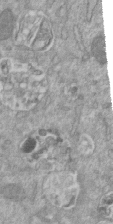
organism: Mouse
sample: ED-1 cell nuclei; centrioles